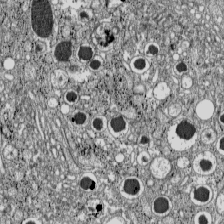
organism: C57BL Mouse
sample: Pancreatic islet